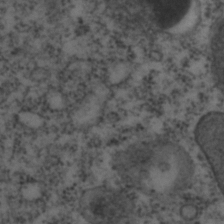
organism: C. elegans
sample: C. elegans embryo